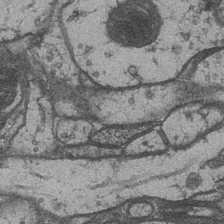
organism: Drosophila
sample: Optic medulla